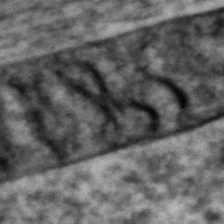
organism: Zebrafish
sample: Zebrafish embryo